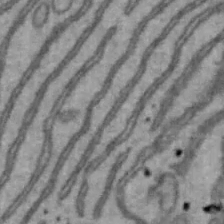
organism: Mouse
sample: Liver